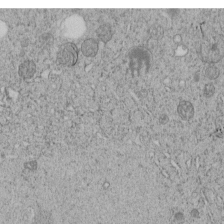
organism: C. elegans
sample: C. elegans embryo early stage